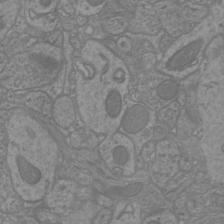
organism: Mouse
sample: Cortical neurons